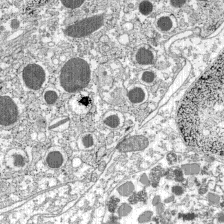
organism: C57BL Mouse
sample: Pancreatic islet